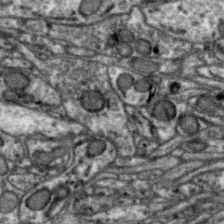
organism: Zebra finch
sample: Brain